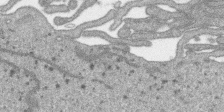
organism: Human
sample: Lung epithelial cells infected with SARS-CoV-2